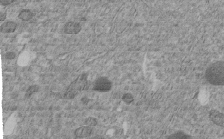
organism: C. elegans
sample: C. elegans embryo early stage